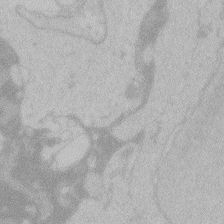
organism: Zebrafish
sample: Macrophage infected with Toxoplasma gondii